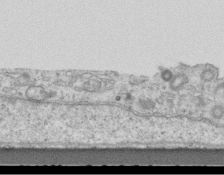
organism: Mouse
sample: Centriole in ependymal cells